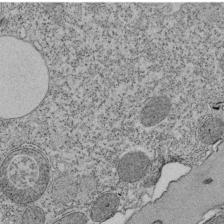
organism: Tetrahymena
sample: Cilia in tetrahymena